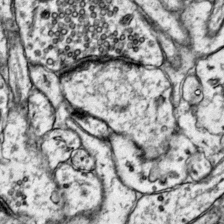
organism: Mouse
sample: Primary visual cortex